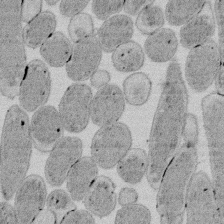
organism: E. coli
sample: Bacterial nucleoid